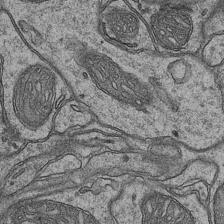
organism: Mouse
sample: CA1 Hippocampus